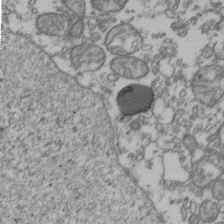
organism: Human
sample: Activated Jurkat CD4+ T cells